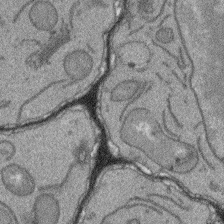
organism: Arabidopsis thaliana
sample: Root tip